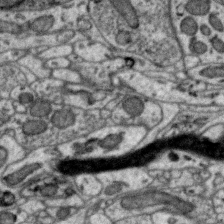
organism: Zebra finch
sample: Brain